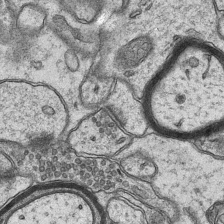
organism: Mouse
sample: CA1 Hippocampus